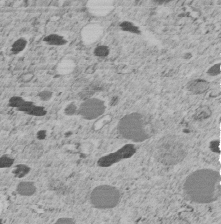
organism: C. elegans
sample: C. elegans embryo early stage